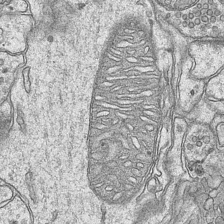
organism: Mouse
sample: CA1 Hippocampus